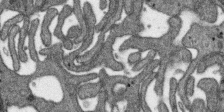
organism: Human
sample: Lung epithelial cells, uninfected (mock) control